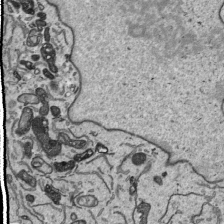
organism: Human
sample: Mitochondria in HCT116 cells